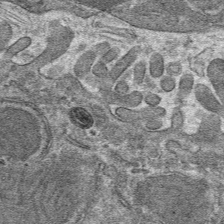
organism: Mouse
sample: Mouse hepatocytes